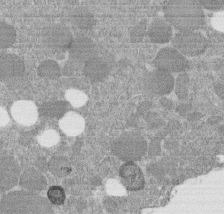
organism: C. elegans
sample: C. elegans embryo early stage